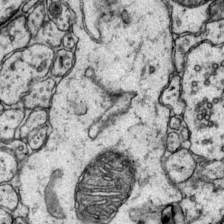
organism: Mouse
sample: Primary visual cortex